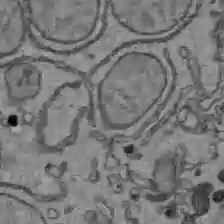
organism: C57BL Mouse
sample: Liver